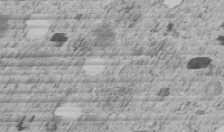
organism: C. elegans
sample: C. elegans embryo early stage